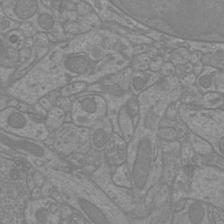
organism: Mouse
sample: Cortical neurons